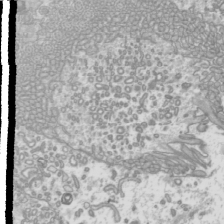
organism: Mouse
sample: Cilia; mouse epididymis